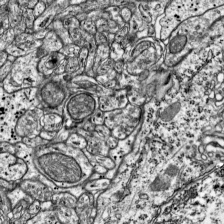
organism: Mouse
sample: Visual Cortex